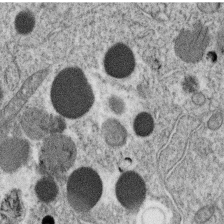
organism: C. elegans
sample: C. elegans oocyte; sperm cells